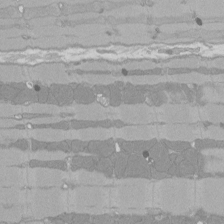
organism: Rat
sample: Left ventricle